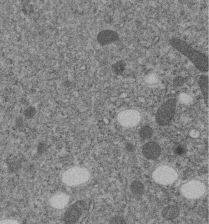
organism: C. elegans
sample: C. elegans embryo early stage